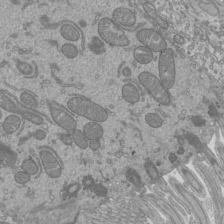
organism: Mouse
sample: Cilia; mouse epididymis